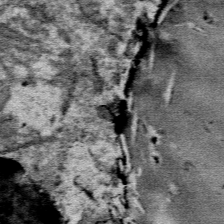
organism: Mouse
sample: Mouse Salivary gland